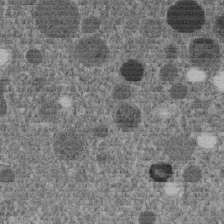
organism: C. elegans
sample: C. elegans embryo early stage